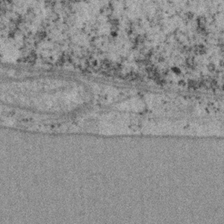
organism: Human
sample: HeLa cells